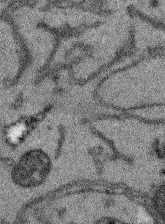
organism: Arabidopsis thaliana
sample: Root tip